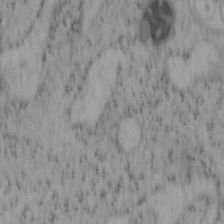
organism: Mouse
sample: OT-I killer T cells with ID8 ovarian cancer cells